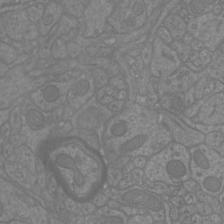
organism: Mouse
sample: Cortical neurons